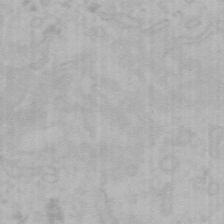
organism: Mouse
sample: Choroid plexus